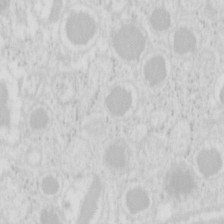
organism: Mouse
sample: Pancreas